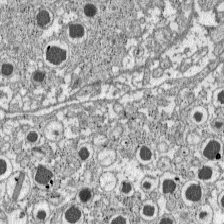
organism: C57BL Mouse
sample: Pancreatic islet